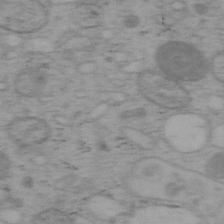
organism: Mouse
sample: OT-I killer T cells with ID8 ovarian cancer cells